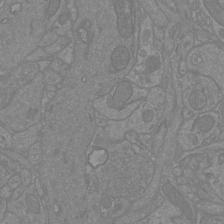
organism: Mouse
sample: Cortical neurons